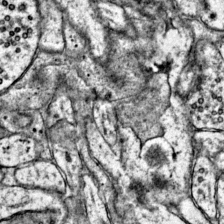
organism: Mouse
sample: Primary visual cortex